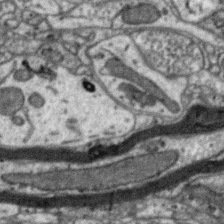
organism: Zebra finch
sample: Brain